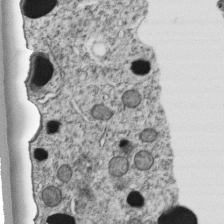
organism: C. elegans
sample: C. elegans embryo early stage